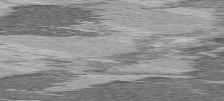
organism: C57BL Mouse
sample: Heart